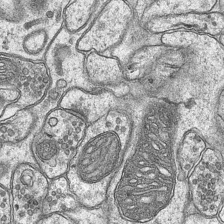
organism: Mouse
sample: CA1 Hippocampus